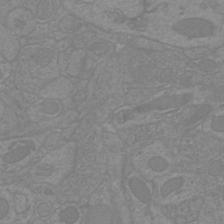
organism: Mouse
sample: Cortical neurons